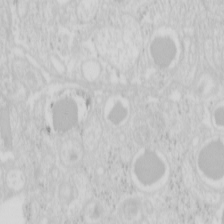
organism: Mouse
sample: Pancreas